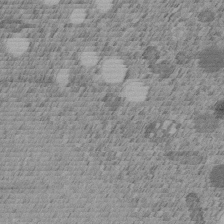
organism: C. elegans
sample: C. elegans embryo early stage